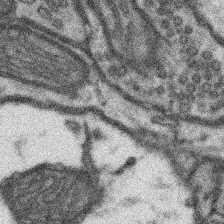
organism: Mouse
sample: Somatosensory cortex neuropil